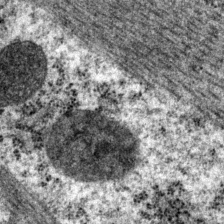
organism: P. pacificus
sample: Pharynx